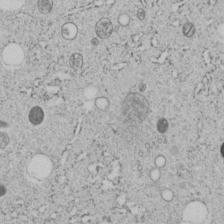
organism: C. elegans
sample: C. elegans embryo early stage